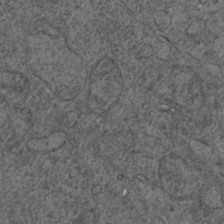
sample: Trachea